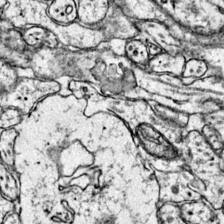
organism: Mouse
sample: Primary visual cortex